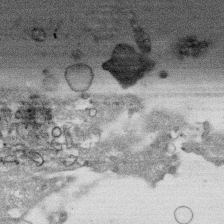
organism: Human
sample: CRL-1474